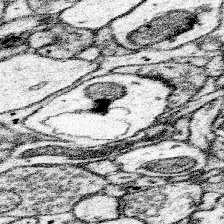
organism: Mouse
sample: Somatosensory cortex neuropil